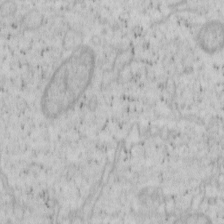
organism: Human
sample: HeLa cells